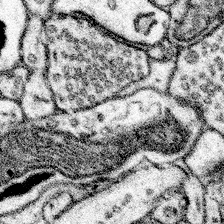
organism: Mouse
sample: Somatosensory cortex neuropil